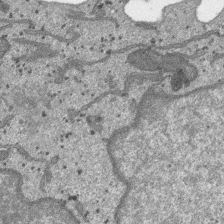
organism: Human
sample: Lung epithelial cells infected with SARS-CoV-2